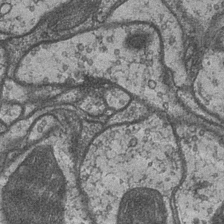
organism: Drosophila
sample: Optic medulla